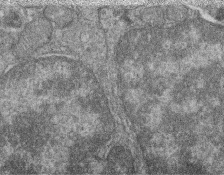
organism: Zebrafish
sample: Cilia; retinal pigment epithelium